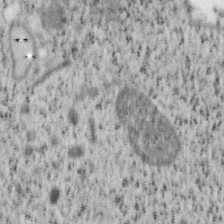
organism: Mouse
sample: OT-I killer T cells with ID8 ovarian cancer cells